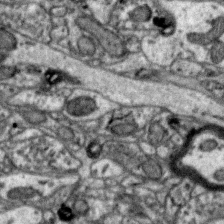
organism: Zebra finch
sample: Brain